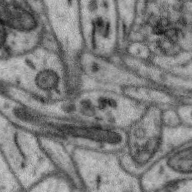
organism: Zebra finch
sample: Brain